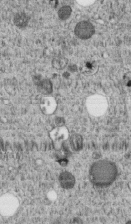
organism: C. elegans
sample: C. elegans embryo early stage